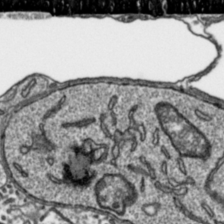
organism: Toxoplasma gondii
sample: Parasites in a vacuole inside a host cell